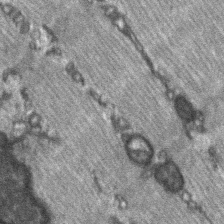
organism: C57BL Mouse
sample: Soleus